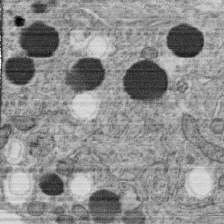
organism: C. elegans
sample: C. elegans oocyte; sperm cells